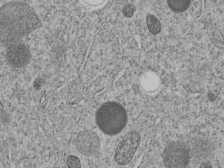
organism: C. elegans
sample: C. elegans embryo early stage